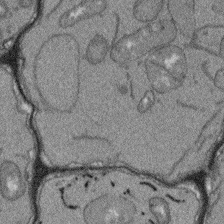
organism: Arabidopsis thaliana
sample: Root tip